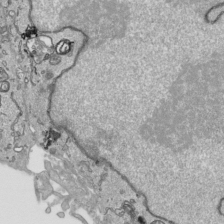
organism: Human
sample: Mitochondria in HCT116 cells